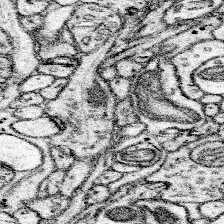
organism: Mouse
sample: Somatosensory cortex neuropil